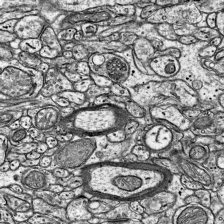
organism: Mouse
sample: Visual Cortex